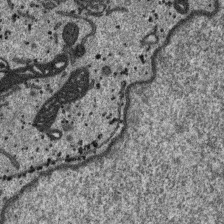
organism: Human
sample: Lung epithelial cells infected with SARS-CoV-2